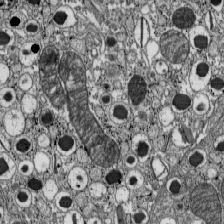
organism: C57BL Mouse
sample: Pancreatic islet